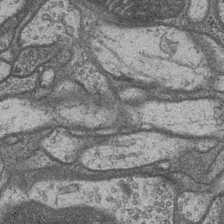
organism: Drosophila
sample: Optic medulla